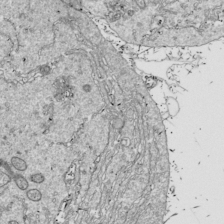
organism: Drosophila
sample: Cell division; meiosis; drosophila spermatocytes